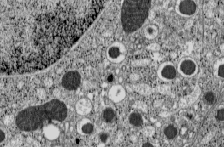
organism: C57BL Mouse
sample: Pancreatic islet